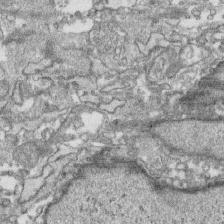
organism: Human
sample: CRL-1474